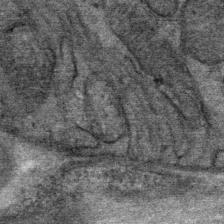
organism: Mouse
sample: Mouse Salivary gland